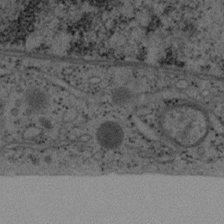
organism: Human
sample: HeLa cells